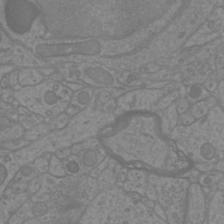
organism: Mouse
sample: Cortical neurons